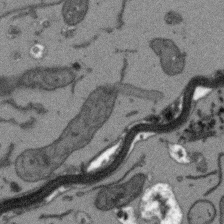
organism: Arabidopsis thaliana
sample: Root tip